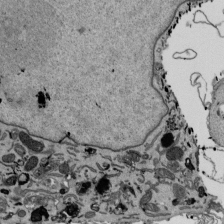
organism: Mouse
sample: ED-1 cell nuclei; centrioles